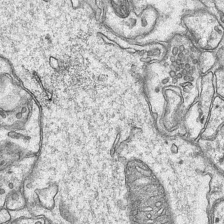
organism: Mouse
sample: CA1 Hippocampus